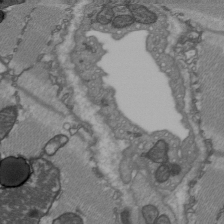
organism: C57BL Mouse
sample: Heart